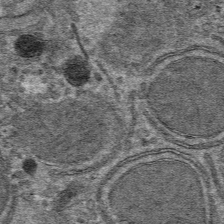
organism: Mouse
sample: Mouse hepatocytes